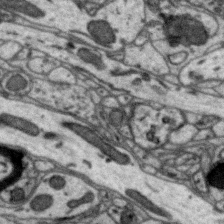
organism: Zebra finch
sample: Brain